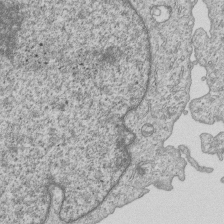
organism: Human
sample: MDA-MB-231 cells